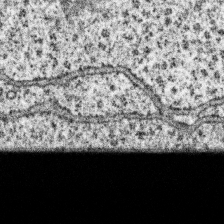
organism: Human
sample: HeLa cells